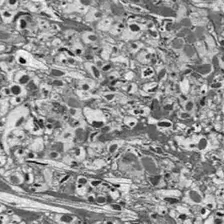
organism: Drosophila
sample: Optic lobe